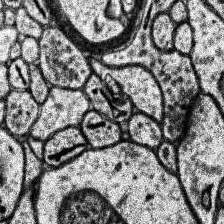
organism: Human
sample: Temporal Lobe